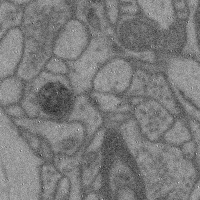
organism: Mouse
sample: Cerebral cortex